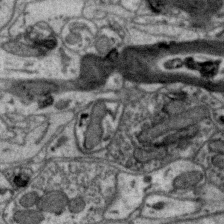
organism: Zebra finch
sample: Brain